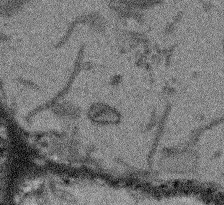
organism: Arabidopsis thaliana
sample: Root tip